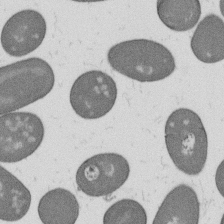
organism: B. subtilis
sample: Bacterial spore